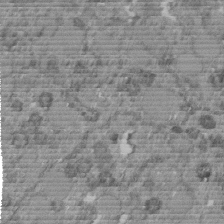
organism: C. elegans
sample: C. elegans embryo early stage